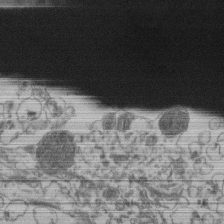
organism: Human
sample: Retinal organoid Rod and Cone cells